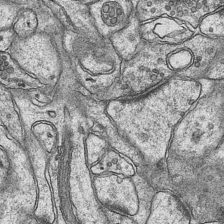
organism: Mouse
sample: CA1 Hippocampus